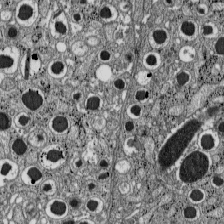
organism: C57BL Mouse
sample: Pancreatic islet